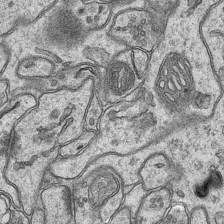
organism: Mouse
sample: CA1 Hippocampus